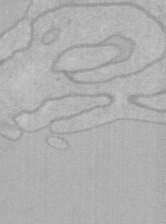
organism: Human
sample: HeLa cells